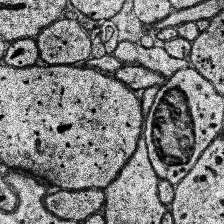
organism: Human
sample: Temporal Lobe